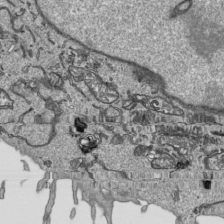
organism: Human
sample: Mitochondria in HCT116 cells